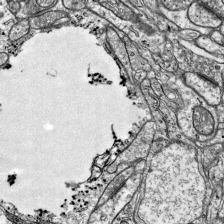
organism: Mouse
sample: Visual Cortex